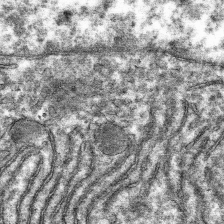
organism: Mouse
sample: Mouse hepatocytes